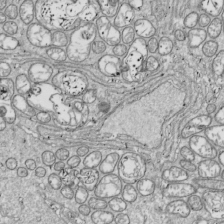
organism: Drosophila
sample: Cell division; meiosis; drosophila spermatocytes